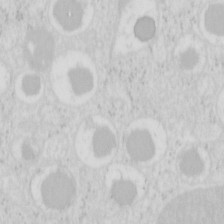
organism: Mouse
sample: Pancreas